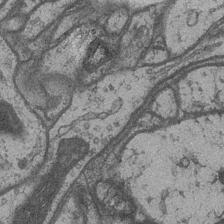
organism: Drosophila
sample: Optic medulla